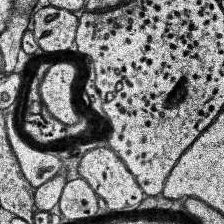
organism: Human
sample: Temporal Lobe